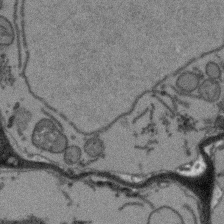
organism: Arabidopsis thaliana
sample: Root tip